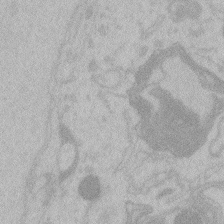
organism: Zebrafish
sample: Macrophage infected with Toxoplasma gondii